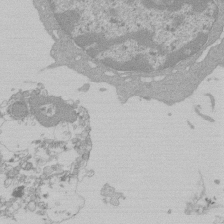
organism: Mouse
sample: Activated Pmel transgenic CD8+ T Cells